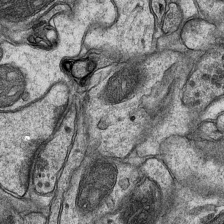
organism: Mouse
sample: CA1 Hippocampus